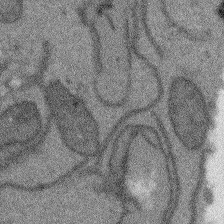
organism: Arabidopsis thaliana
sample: Root tip